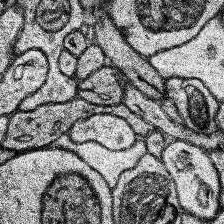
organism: Human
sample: Temporal Lobe